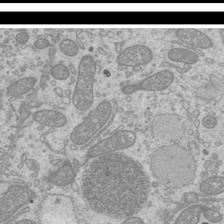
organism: Mouse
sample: Cilia; mouse epididymis